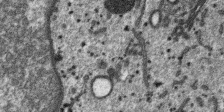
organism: Human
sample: Lung epithelial cells infected with SARS-CoV-2